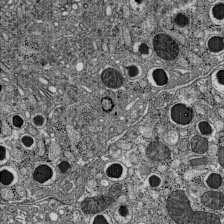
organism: C57BL Mouse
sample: Pancreatic islet